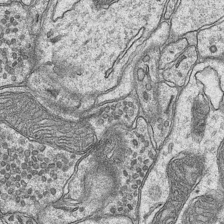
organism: Mouse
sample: CA1 Hippocampus